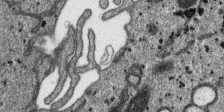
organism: Human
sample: Lung epithelial cells infected with SARS-CoV-2